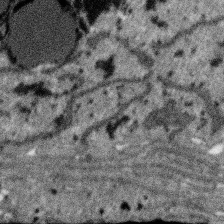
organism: Human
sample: Lung epithelial cells infected with SARS-CoV-2